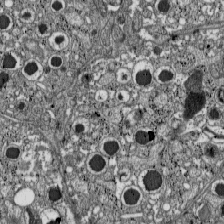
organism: C57BL Mouse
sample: Pancreatic islet